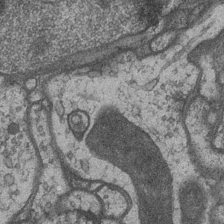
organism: Drosophila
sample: Optic medulla